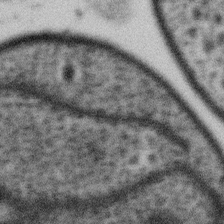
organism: Gemmata obscuriglobus